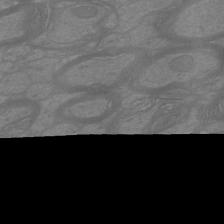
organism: Mouse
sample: Cortical neurons